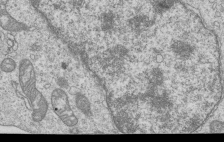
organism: Human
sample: MDA-MB-231 cells